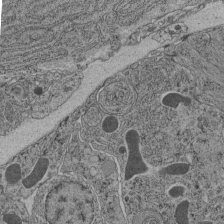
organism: C. elegans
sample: C. elegans pharynx